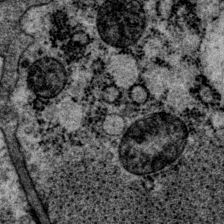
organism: P. pacificus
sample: Pharynx